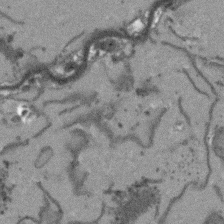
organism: Arabidopsis thaliana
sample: Root tip